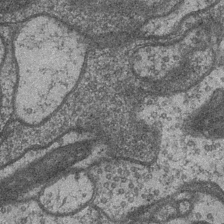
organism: Drosophila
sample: Optic medulla